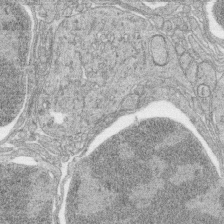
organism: Zebrafish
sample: synaptic ribbons in rod cells and cone cells